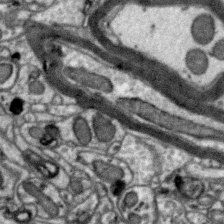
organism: Zebra finch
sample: Brain